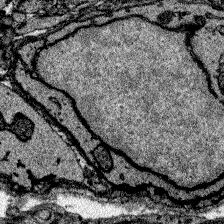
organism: Zebrafish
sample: Larval olfactory bulb